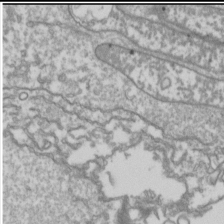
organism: Drosophila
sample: Cell division; meiosis; drosophila spermatocytes